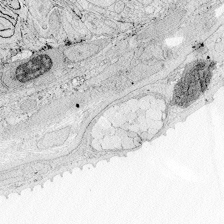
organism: Zebrafish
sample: Whole-Brain